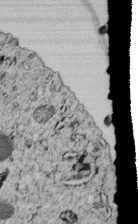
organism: C. elegans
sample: C. elegans embryo early stage